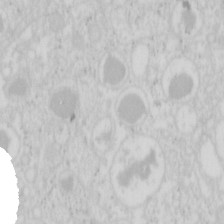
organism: Mouse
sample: Pancreas